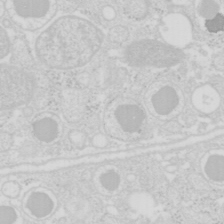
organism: Mouse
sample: Pancreas